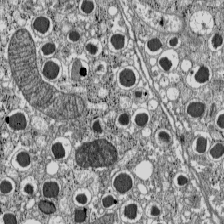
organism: C57BL Mouse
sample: Pancreatic islet